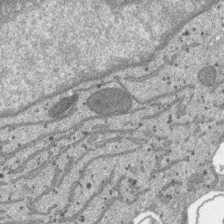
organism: Human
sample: Lung epithelial cells infected with SARS-CoV-2